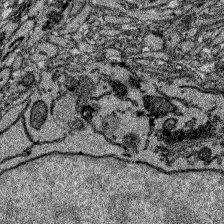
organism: Zebrafish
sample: Larval olfactory bulb